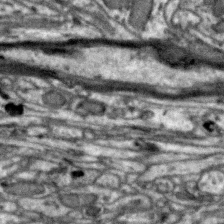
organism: Zebra finch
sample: Brain